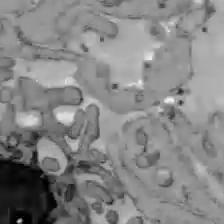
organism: C57BL Mouse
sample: Liver